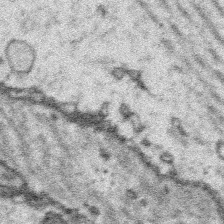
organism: Platynereis dumerilii